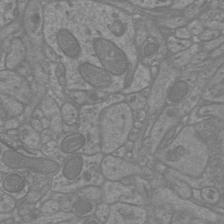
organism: Mouse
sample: Cortical neurons